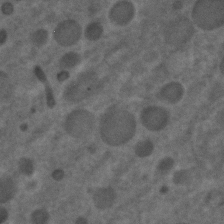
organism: C. elegans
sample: C. elegans embryo